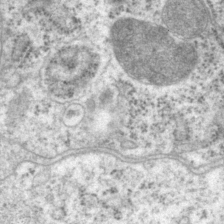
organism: P. pacificus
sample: Pharynx